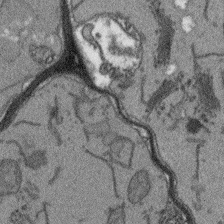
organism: Arabidopsis thaliana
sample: Root tip